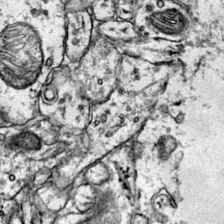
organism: Mouse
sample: Primary visual cortex